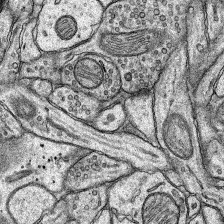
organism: Rat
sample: Hippocampus